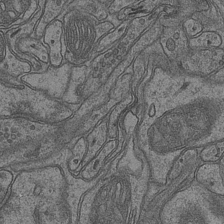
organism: Mouse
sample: CA1 Hippocampus